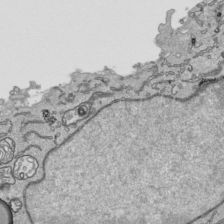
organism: Human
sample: Mitochondria in HCT116 cells